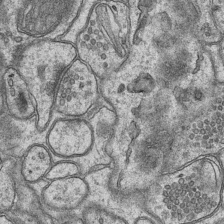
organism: Mouse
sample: CA1 Hippocampus